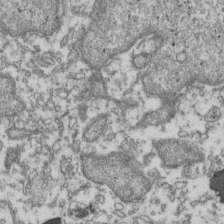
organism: Human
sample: Activated Jurkat CD4+ T cells